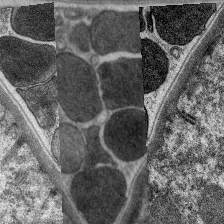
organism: C. elegans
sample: Pharynx